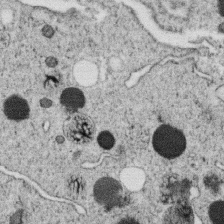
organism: C. elegans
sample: C. elegans oocyte; sperm cells